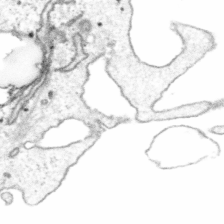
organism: Human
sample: HeLa cells